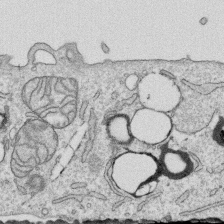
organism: Human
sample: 1205lu cells